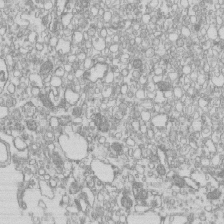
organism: Mouse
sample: Macrophages